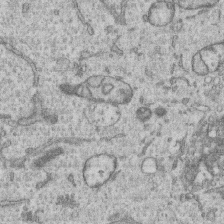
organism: Human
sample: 1205lu cells